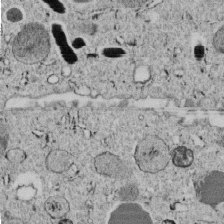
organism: C. elegans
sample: C. elegans embryo early stage